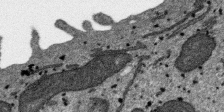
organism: Human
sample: Lung epithelial cells, uninfected (mock) control